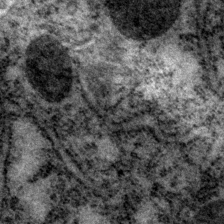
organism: P. pacificus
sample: Pharynx